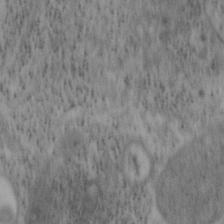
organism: Mouse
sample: OT-I killer T cells with ID8 ovarian cancer cells